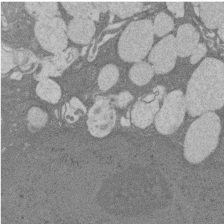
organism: Rat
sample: Salivary granule